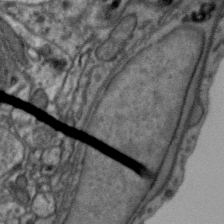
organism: Zebra finch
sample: Brain